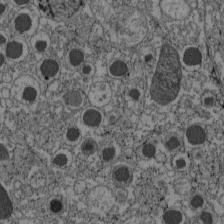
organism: C57BL Mouse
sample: Pancreatic islet